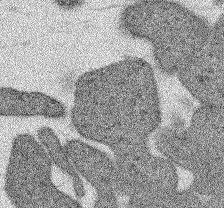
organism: Human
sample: HeLa cells